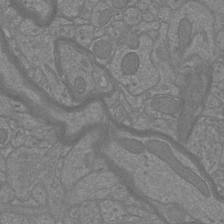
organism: Mouse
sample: Cortical neurons